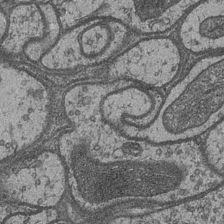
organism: Drosophila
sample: Optic medulla